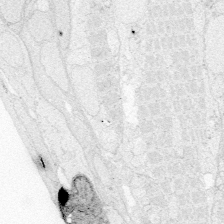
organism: Zebrafish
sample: Whole-Brain